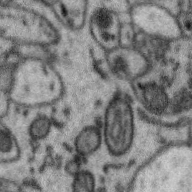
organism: Zebra finch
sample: Brain